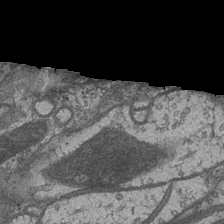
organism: Drosophila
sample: Optic medulla